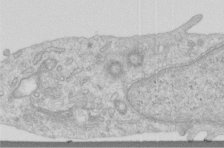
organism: Human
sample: Centriole in RPE cells